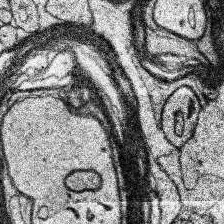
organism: Human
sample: Temporal Lobe